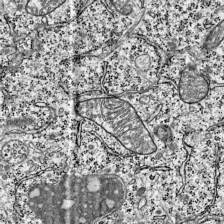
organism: Mouse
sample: Visual Cortex